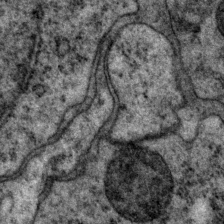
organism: P. pacificus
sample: Pharynx